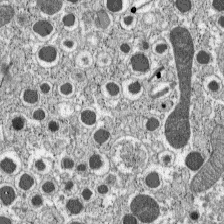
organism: C57BL Mouse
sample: Pancreatic islet